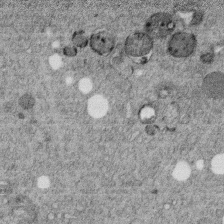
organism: C. elegans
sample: C. elegans embryo early stage